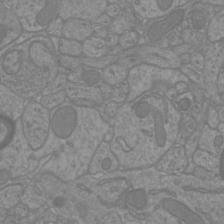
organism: Mouse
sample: Cortical neurons